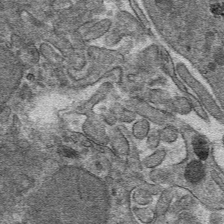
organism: Mouse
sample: Mouse hepatocytes